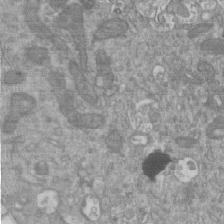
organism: Mouse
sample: ED-1 cell nuclei; centrioles